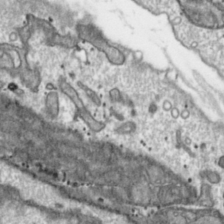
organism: Toxoplasma gondii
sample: Parasites in a vacuole inside a host cell